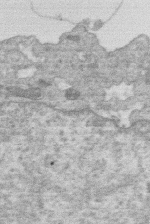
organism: Human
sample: Macrophage cells